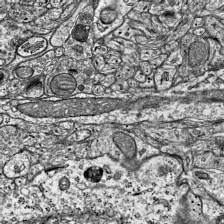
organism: Mouse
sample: Visual Cortex